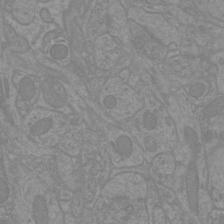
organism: Mouse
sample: Cortical neurons